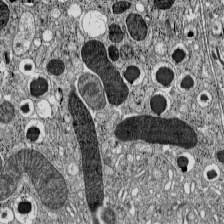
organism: C57BL Mouse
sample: Pancreatic islet